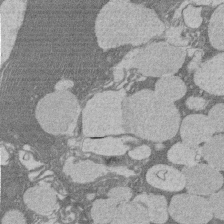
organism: Rat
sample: Salivary granule